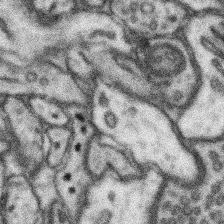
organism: Mouse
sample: Somatosensory cortex neuropil